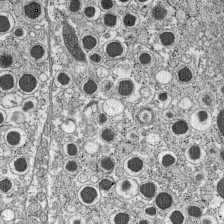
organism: C57BL Mouse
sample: Pancreatic islet